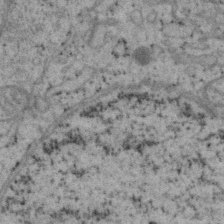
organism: Human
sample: HeLa cells